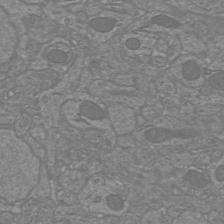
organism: Mouse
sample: Cortical neurons